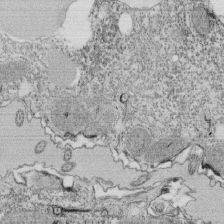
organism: Tetrahymena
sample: Cilia in tetrahymena